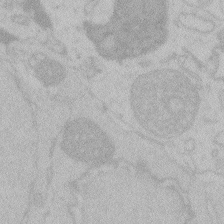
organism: Zebrafish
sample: Macrophage infected with Toxoplasma gondii